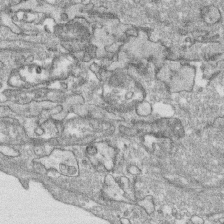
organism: Human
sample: CRL-1474